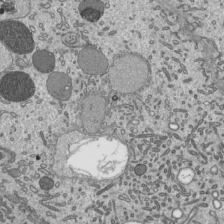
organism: Mouse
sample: Mouse epididymis efferent ductule cilia